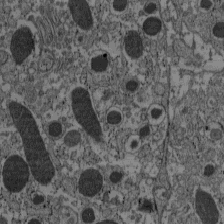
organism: C57BL Mouse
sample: Pancreatic islet